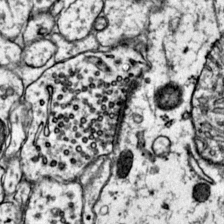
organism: Mouse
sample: Primary visual cortex